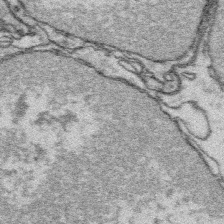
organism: Platynereis dumerilii